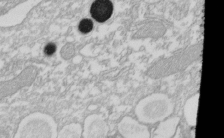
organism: Xenopus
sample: Cilia; centrioles in frog embryo cells